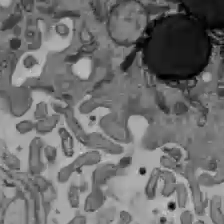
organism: C57BL Mouse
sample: Liver